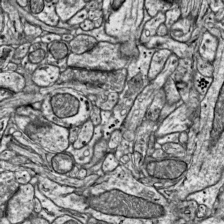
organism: Mouse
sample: Visual Cortex